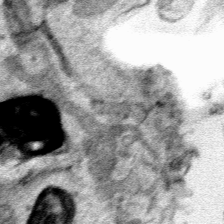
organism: Human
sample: Mitochondria in HCT116 cells